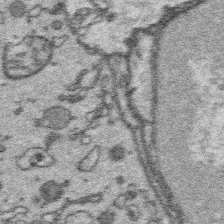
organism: Platynereis dumerilii